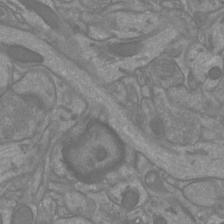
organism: Mouse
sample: Cortical neurons